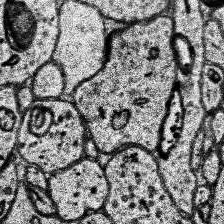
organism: Human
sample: Temporal Lobe